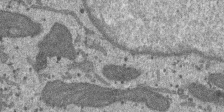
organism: Human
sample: Lung epithelial cells infected with SARS-CoV-2